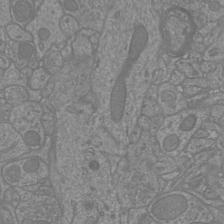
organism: Mouse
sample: Cortical neurons